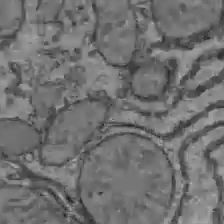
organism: C57BL Mouse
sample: Liver